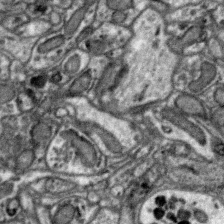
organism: Zebra finch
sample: Brain